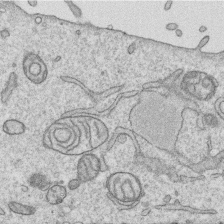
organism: Human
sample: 1205lu cells